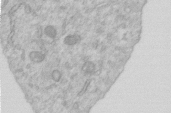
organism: Human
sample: Centriole in RPE cells